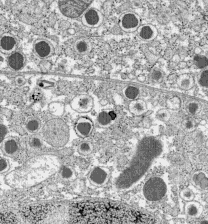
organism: C57BL Mouse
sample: Pancreatic islet